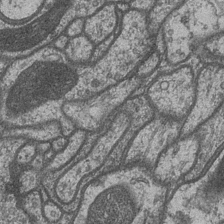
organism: Drosophila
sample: Optic medulla